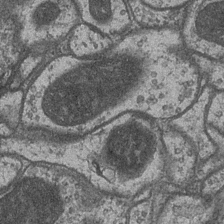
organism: Drosophila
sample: Optic medulla